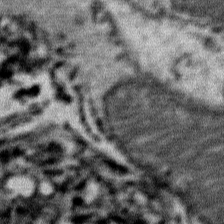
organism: Mouse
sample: Mouse Salivary gland